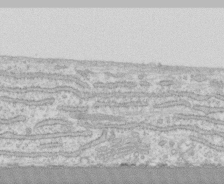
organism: Human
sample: CRL-1474